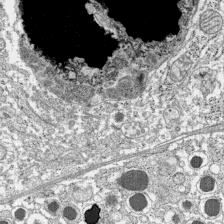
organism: C57BL Mouse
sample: Pancreatic islet